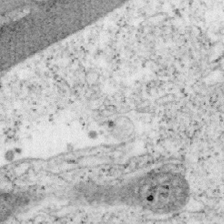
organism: Mouse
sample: OT-I killer T cells with ID8 ovarian cancer cells